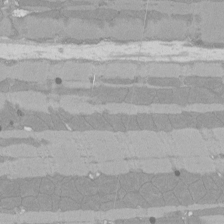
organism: Rat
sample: Left ventricle